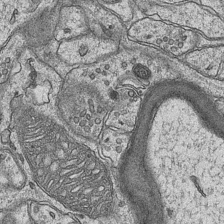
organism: Mouse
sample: CA1 Hippocampus